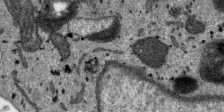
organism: Human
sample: Lung epithelial cells, uninfected (mock) control